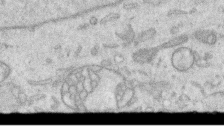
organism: Human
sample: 1205lu cells